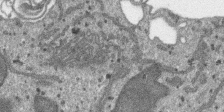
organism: Human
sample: Lung epithelial cells infected with SARS-CoV-2